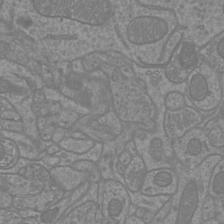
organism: Mouse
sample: Cortical neurons